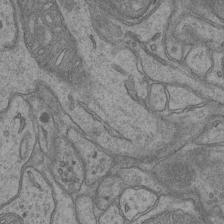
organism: Mouse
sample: CA1 Hippocampus